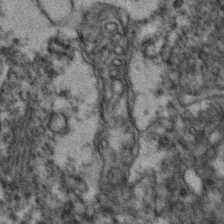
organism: Zebrafish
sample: Zebrafish embryo